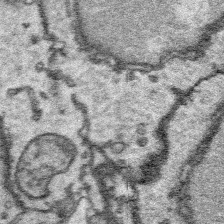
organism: Platynereis dumerilii